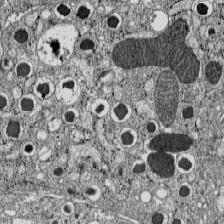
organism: C57BL Mouse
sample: Pancreatic islet